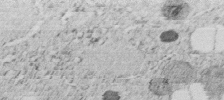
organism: C. elegans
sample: C. elegans embryo early stage